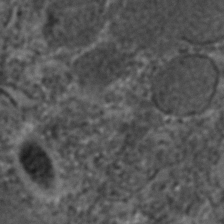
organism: C. elegans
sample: C. elegans embryo